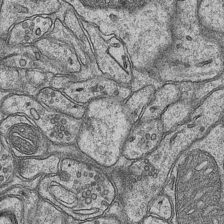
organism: Mouse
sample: CA1 Hippocampus